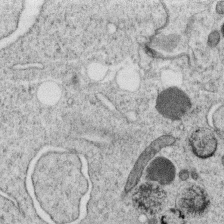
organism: C. elegans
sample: C. elegans oocyte; sperm cells